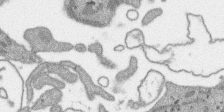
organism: Human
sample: Lung epithelial cells infected with SARS-CoV-2